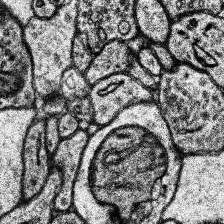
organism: Human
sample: Temporal Lobe